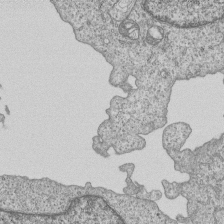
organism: Human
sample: MDA-MB-231 cells